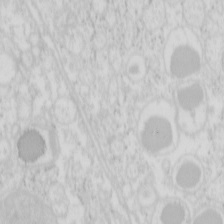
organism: Mouse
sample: Pancreas